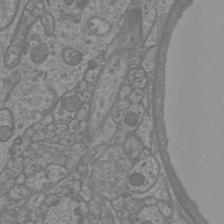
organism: Mouse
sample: Cortical neurons